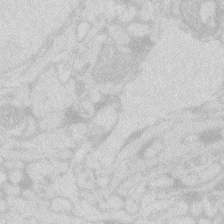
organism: Zebrafish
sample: Macrophage